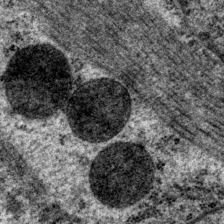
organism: P. pacificus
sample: Pharynx